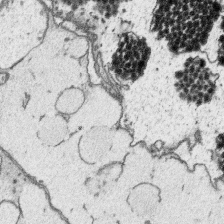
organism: Platynereis dumerilii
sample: Parapodia